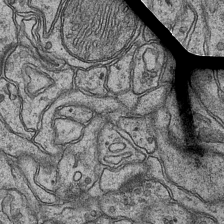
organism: Mouse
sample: CA1 Hippocampus